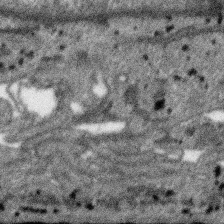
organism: Human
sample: Lung epithelial cells infected with SARS-CoV-2